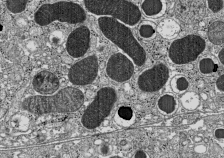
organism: C57BL Mouse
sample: Pancreatic islet